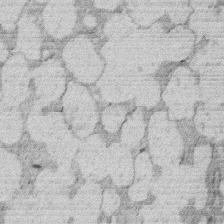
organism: Rat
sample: Salivary granule